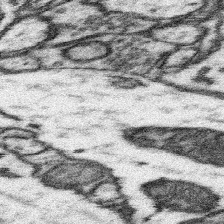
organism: Mouse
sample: Somatosensory cortex neuropil